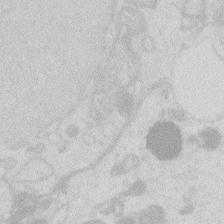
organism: Zebrafish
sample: Macrophage